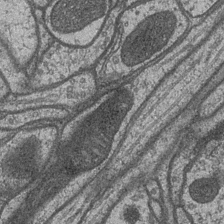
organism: Drosophila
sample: Optic medulla